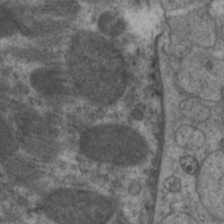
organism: C. elegans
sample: Pharynx